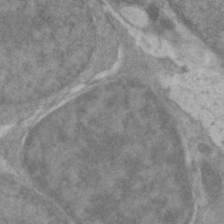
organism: Zebrafish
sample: Zebrafish embryo